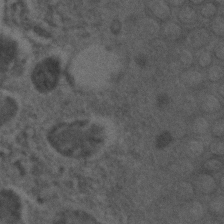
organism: C. elegans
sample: C. elegans embryo